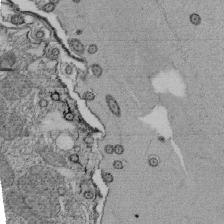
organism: Tetrahymena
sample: Cilia in tetrahymena